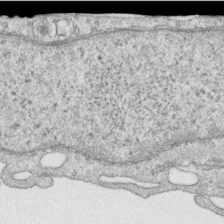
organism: Human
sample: Centriole in RPE cells